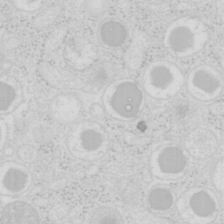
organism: Mouse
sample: Pancreas